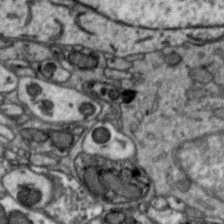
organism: Zebra finch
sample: Brain